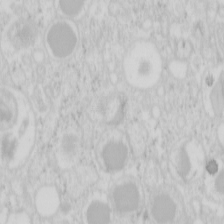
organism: Mouse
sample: Pancreas